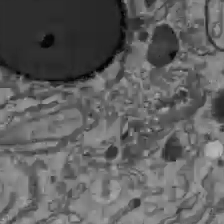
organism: C57BL Mouse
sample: Liver